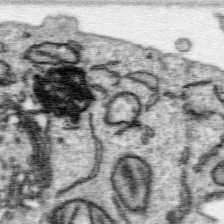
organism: Human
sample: HeLa cells